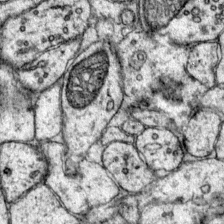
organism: Mouse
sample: Primary visual cortex